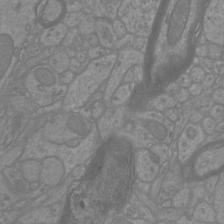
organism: Mouse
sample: Cortical neurons